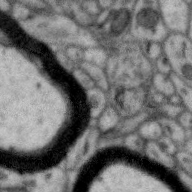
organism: Zebra finch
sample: Brain